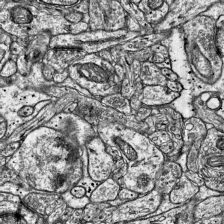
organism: Mouse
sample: Visual Cortex